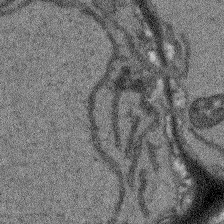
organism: Arabidopsis thaliana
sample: Root tip